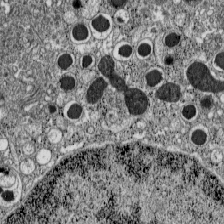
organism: C57BL Mouse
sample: Pancreatic islet